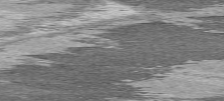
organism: C57BL Mouse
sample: Heart